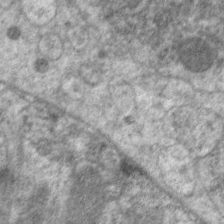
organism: C. elegans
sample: Pharynx